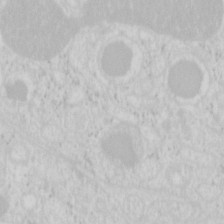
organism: Mouse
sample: Pancreas